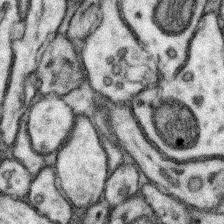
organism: Mouse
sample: Somatosensory cortex neuropil